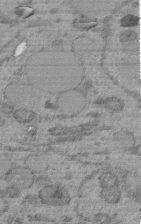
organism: C. elegans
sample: C. elegans embryo early stage